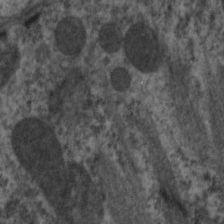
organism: C. elegans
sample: Pharynx